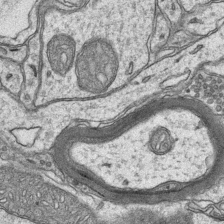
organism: Mouse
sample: CA1 Hippocampus